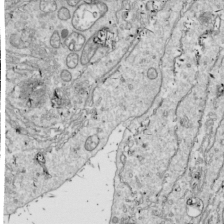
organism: Drosophila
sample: Cell division; meiosis; drosophila spermatocytes